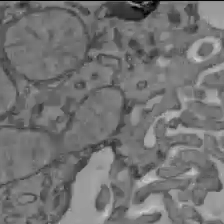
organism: C57BL Mouse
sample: Liver